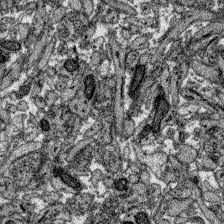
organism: Zebrafish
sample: Larval olfactory bulb